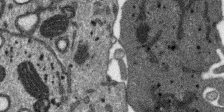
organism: Human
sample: Lung epithelial cells infected with SARS-CoV-2